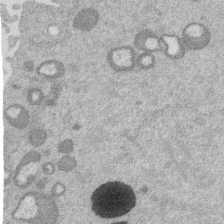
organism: Mouse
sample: Dividing mouse embryo 1 cell stage